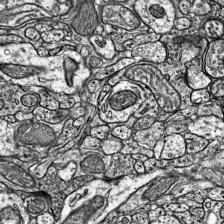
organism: Mouse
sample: Visual Cortex